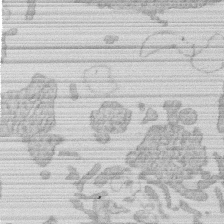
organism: Human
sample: Macrophage cells